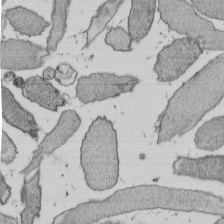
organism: E. coli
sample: Bacterial nucleoid